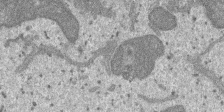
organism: Human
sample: Lung epithelial cells infected with SARS-CoV-2